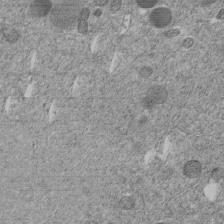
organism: C. elegans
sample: C. elegans embryo early stage